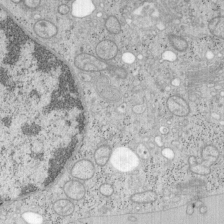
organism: Mouse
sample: OT-I killer T cells with ID8 ovarian cancer cells